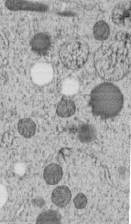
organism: C. elegans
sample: C. elegans embryo early stage